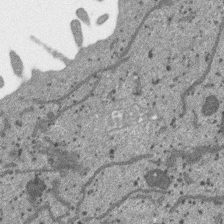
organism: Human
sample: Lung epithelial cells infected with SARS-CoV-2